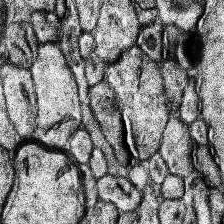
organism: Human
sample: Temporal Lobe